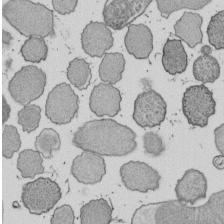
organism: E. coli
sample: Bacterial nucleoid